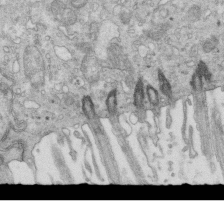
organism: Mouse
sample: Multiciliated cells